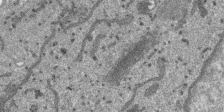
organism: Human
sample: Lung epithelial cells infected with SARS-CoV-2